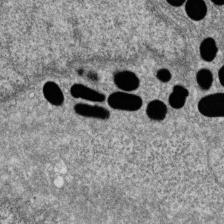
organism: Zebrafish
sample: Cilia; retinal pigment epithelium